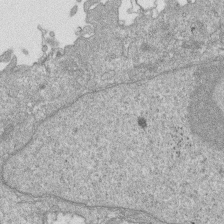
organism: Human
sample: HeLa cell HIV synapse